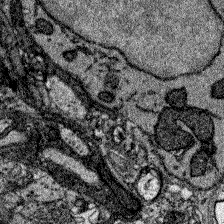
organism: Zebrafish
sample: Larval olfactory bulb